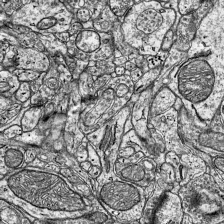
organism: Mouse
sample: Visual Cortex